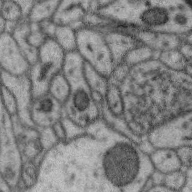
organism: Zebra finch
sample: Brain